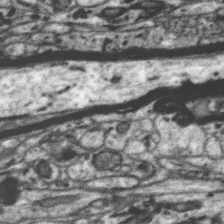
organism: Zebra finch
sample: Brain